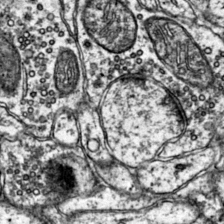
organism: Mouse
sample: Primary visual cortex